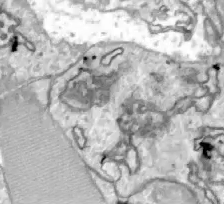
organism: Zebrafish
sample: Actinotrichia fibers